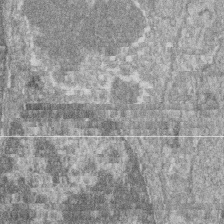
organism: Zebrafish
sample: Cilia; retinal pigment epithelium